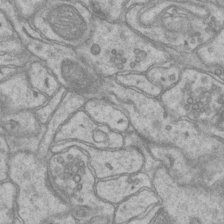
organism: Mouse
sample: CA1 Hippocampus